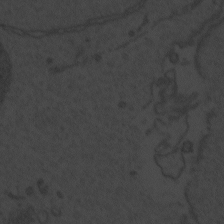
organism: Zebrafish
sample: Macrophage infected with Toxoplasma gondii